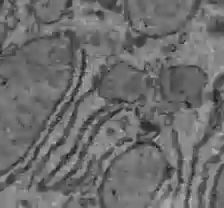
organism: C57BL Mouse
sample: Liver